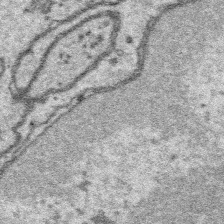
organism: Platynereis dumerilii